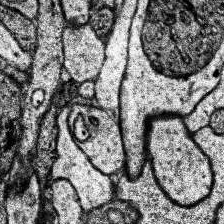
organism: Human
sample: Temporal Lobe